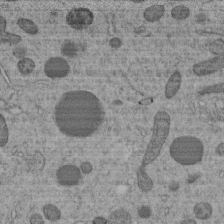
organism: C. elegans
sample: C. elegans embryo early stage